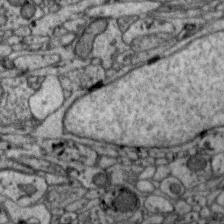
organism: Zebra finch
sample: Brain